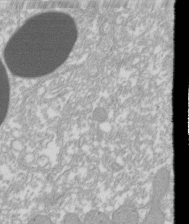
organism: Xenopus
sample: Cilia; centrioles in frog embryo cells